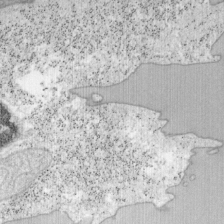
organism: Mouse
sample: OT-I killer T cells with ID8 ovarian cancer cells